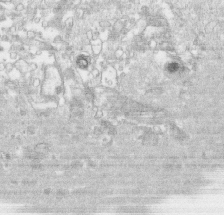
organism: Human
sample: CRL-1474